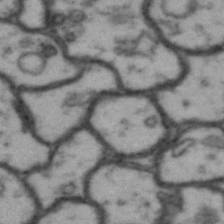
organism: Drosophila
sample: Brain